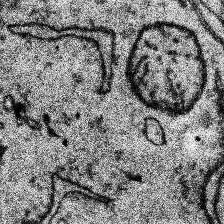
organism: Human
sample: Temporal Lobe